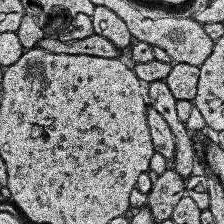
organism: Human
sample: Temporal Lobe